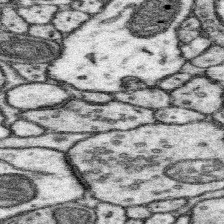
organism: Mouse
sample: Somatosensory cortex neuropil